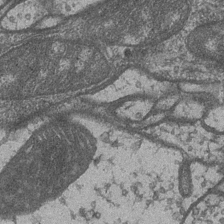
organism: Drosophila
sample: Optic medulla